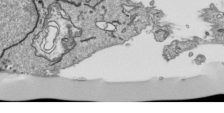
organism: Human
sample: Mitochondria in HCT116 cells